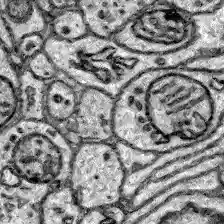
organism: Zebrafish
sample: Brain